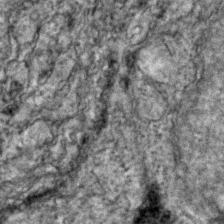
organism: Zebrafish